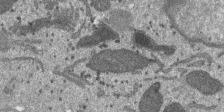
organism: Human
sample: Lung epithelial cells infected with SARS-CoV-2